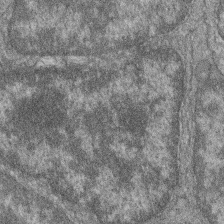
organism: Zebrafish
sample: Cilia; retinal pigment epithelium